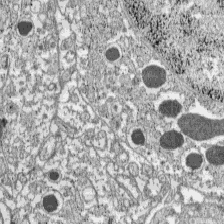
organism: C57BL Mouse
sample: Pancreatic islet